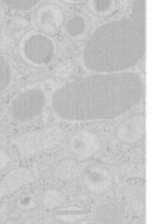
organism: Mouse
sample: Pancreas